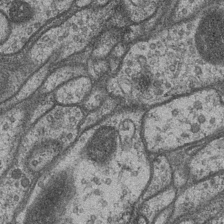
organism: Drosophila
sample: Optic medulla